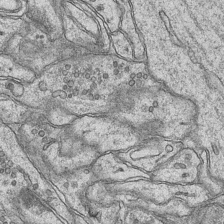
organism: Mouse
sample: CA1 Hippocampus